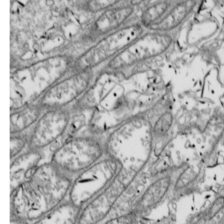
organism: Drosophila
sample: Cell division; meiosis; drosophila spermatocytes